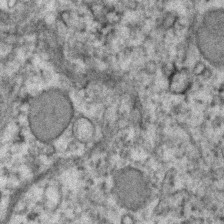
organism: Human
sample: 1205lu cells